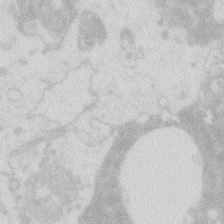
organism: Zebrafish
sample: Macrophage